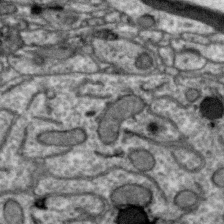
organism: Zebra finch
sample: Brain